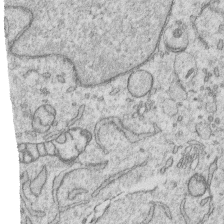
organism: Human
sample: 1205lu cells